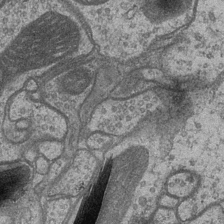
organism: Drosophila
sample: Optic medulla